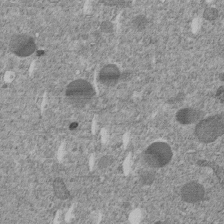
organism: C. elegans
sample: C. elegans embryo early stage